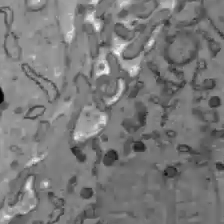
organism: C57BL Mouse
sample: Liver